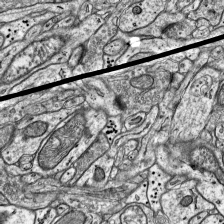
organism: Mouse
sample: Visual Cortex